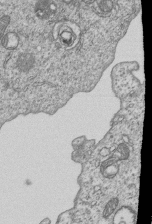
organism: Human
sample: MDA-MB-231 cells